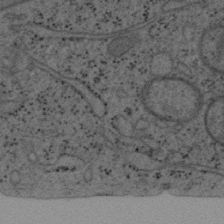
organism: Human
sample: HeLa cells